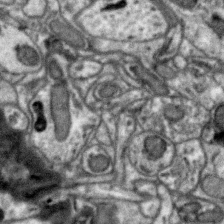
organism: Zebra finch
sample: Brain